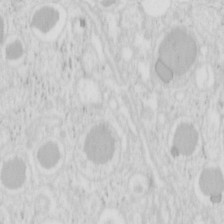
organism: Mouse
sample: Pancreas